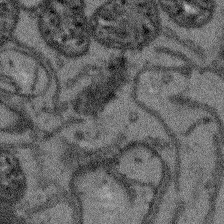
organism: Arabidopsis thaliana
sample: Root tip